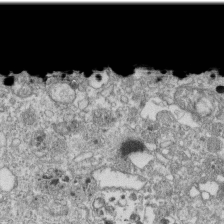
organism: Human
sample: HeLa cell HIV synapse